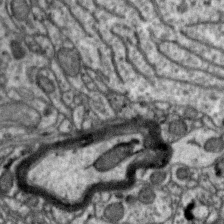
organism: Zebra finch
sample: Brain